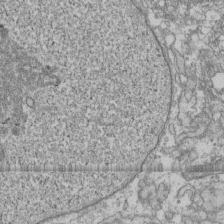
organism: Human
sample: Fibroblast cells